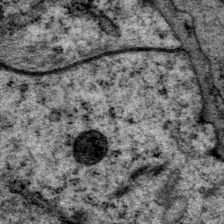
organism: P. pacificus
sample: Pharynx